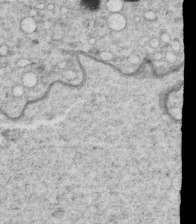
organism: C. elegans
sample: C. elegans oocyte; sperm cells